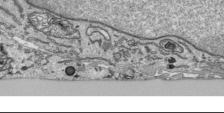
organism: Human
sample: Mitochondria in HCT116 cells